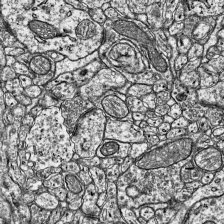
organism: Mouse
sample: Visual Cortex